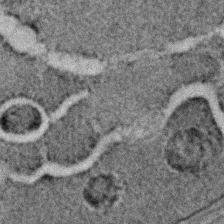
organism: C. elegans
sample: C. elegans embryo